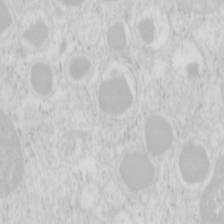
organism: Mouse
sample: Pancreas